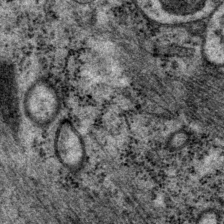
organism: P. pacificus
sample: Pharynx